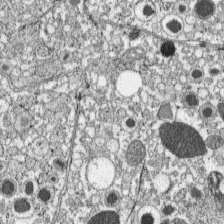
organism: C57BL Mouse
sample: Pancreatic islet